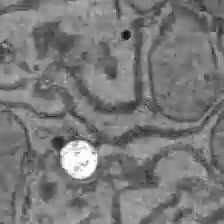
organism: C57BL Mouse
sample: Liver